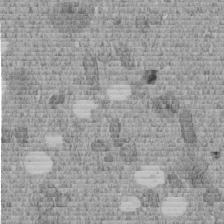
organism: C. elegans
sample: C. elegans embryo early stage